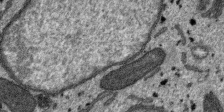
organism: Human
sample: Lung epithelial cells, uninfected (mock) control